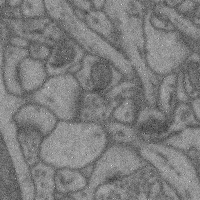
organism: Mouse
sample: Cerebral cortex